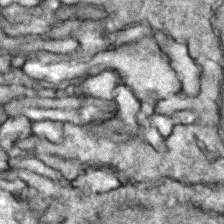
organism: Zebrafish